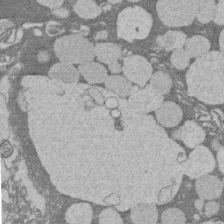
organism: Rat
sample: Salivary granule